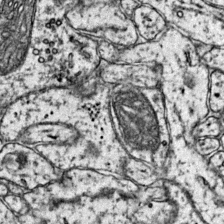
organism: Mouse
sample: Primary visual cortex